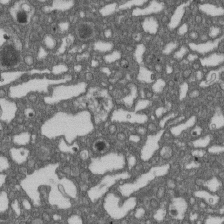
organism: Drosophila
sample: Nephrocyte